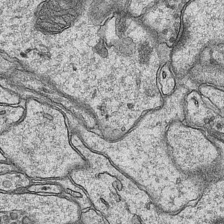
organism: Mouse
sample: CA1 Hippocampus